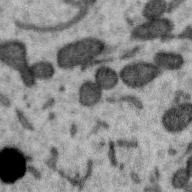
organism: Zebra finch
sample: Brain